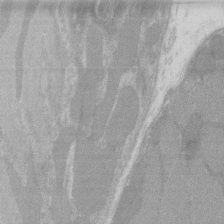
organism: C57BL Mouse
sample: Tibialis anterior muscle cell